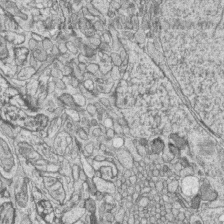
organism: Zebrafish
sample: synaptic ribbons in rod cells and cone cells